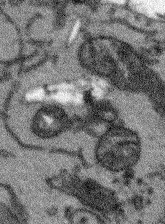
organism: Arabidopsis thaliana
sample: Root tip